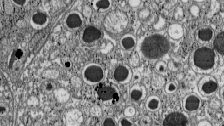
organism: C57BL Mouse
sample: Pancreatic islet